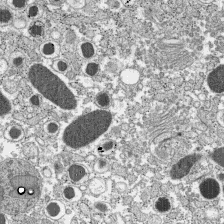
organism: C57BL Mouse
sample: Pancreatic islet